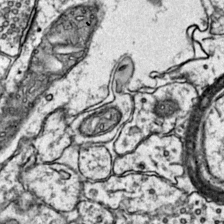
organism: Mouse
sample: Primary visual cortex